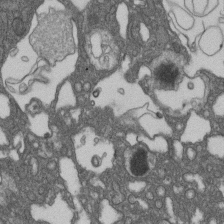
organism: Drosophila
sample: Nephrocyte